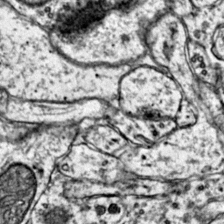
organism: Mouse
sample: Primary visual cortex